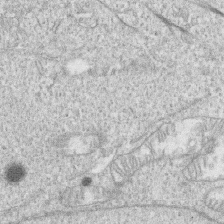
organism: Human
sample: HeLa cell HIV synapse